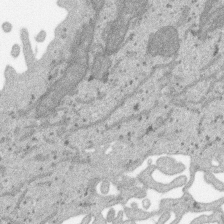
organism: Human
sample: Lung epithelial cells infected with SARS-CoV-2